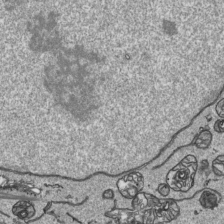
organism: Human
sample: Mitochondria in HCT116 cells